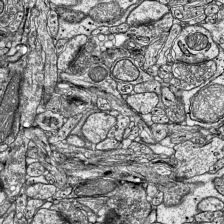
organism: Mouse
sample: Visual Cortex